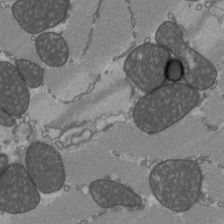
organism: C57BL Mouse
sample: Heart